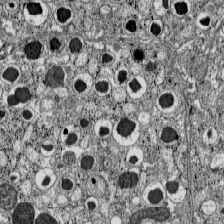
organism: C57BL Mouse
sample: Pancreatic islet